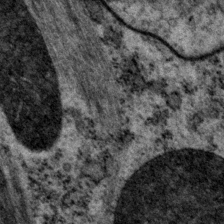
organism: P. pacificus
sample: Pharynx